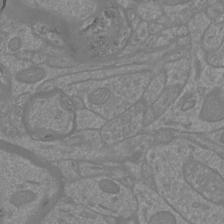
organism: Mouse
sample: Cortical neurons